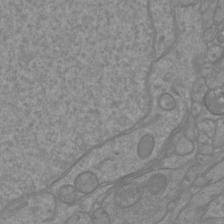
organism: Mouse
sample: Cortical neurons